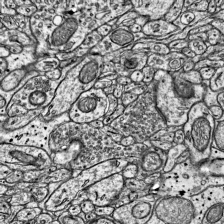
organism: Mouse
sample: Visual Cortex